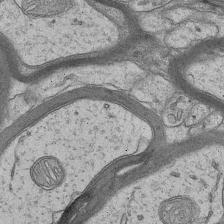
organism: Mouse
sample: CA1 Hippocampus